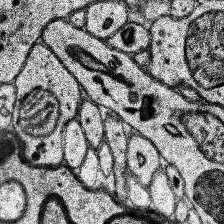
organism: Human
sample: Temporal Lobe